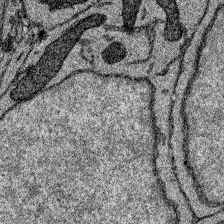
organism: Zebrafish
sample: Larval olfactory bulb